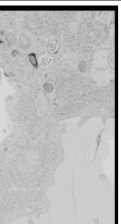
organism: Human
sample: Mitochondria in HCT116 cells